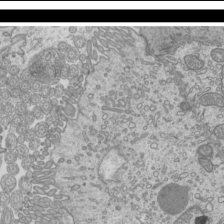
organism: Mouse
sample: Cilia; mouse epididymis